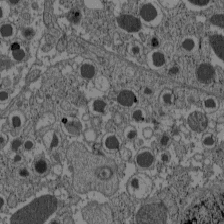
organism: C57BL Mouse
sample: Pancreatic islet